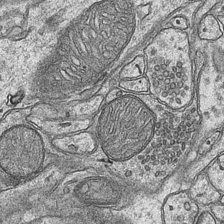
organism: Mouse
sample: CA1 Hippocampus